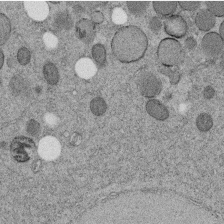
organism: C. elegans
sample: C. elegans embryo early stage